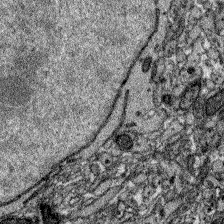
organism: Zebrafish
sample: Larval olfactory bulb